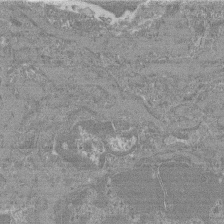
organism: Mouse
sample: Glomerulus